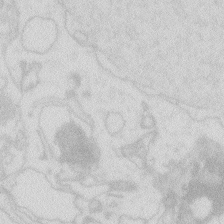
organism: Zebrafish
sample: Macrophage